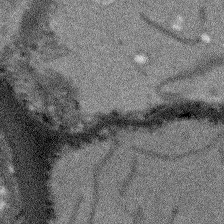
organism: Arabidopsis thaliana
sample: Root tip